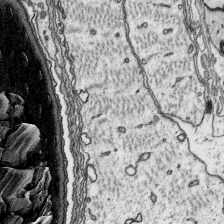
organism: Platynereis dumerilii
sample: Parapodia